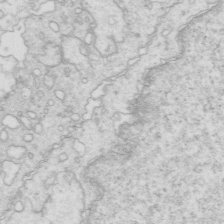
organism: Mouse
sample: Multiciliated cells